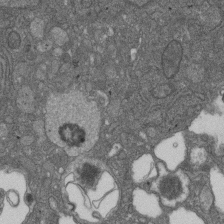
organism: Drosophila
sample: Nephrocyte